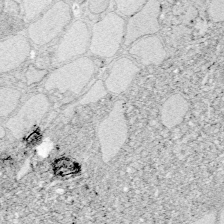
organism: Zebrafish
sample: Whole-Brain